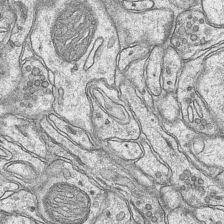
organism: Mouse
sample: CA1 Hippocampus